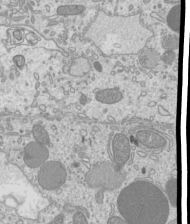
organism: Mouse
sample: Cilia; mouse epididymis